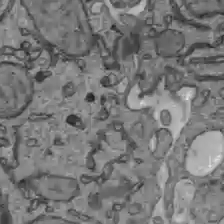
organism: C57BL Mouse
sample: Liver